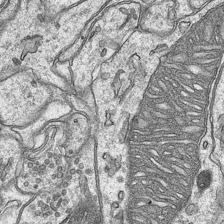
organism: Mouse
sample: CA1 Hippocampus